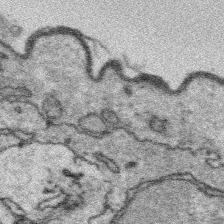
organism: Platynereis dumerilii